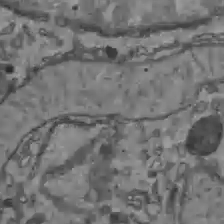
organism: C57BL Mouse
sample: Liver